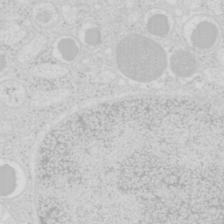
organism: Mouse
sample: Pancreas